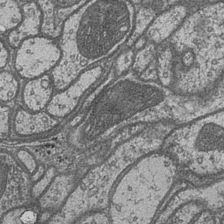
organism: Drosophila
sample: Optic medulla